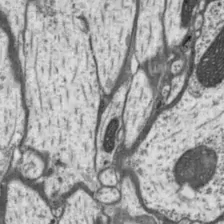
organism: Drosophila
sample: Protocerebral bridge